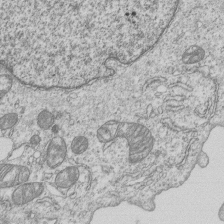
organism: Human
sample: MDA-MB-231 cells